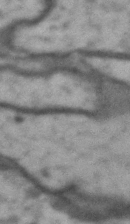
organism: Drosophila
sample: Brain